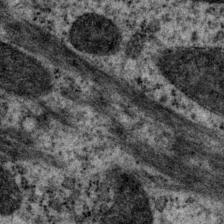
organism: P. pacificus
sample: Pharynx